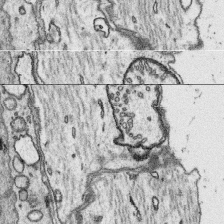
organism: Platynereis dumerilii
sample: Parapodia